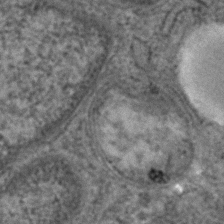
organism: Human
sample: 1205lu cells